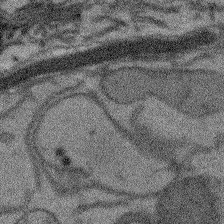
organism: Arabidopsis thaliana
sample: Root tip